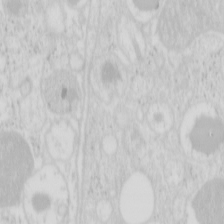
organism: Mouse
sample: Pancreas